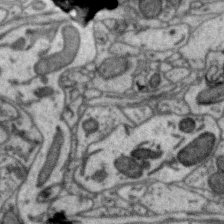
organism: Zebra finch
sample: Brain